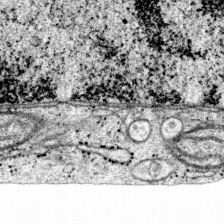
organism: Human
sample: HeLa cells